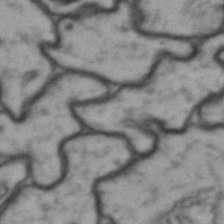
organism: Drosophila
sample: Brain